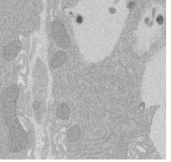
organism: Rat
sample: Salivary granule